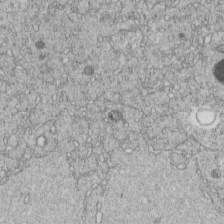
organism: C. elegans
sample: C. elegans embryo early stage